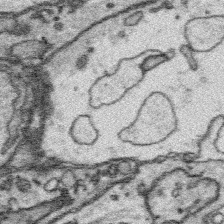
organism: Platynereis dumerilii